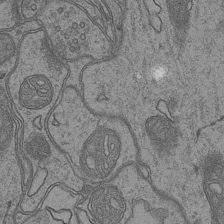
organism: Mouse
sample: CA1 Hippocampus